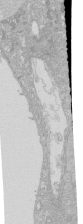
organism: Human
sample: Caco-2 cells